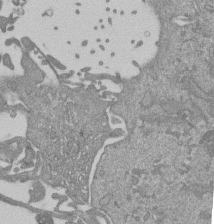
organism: Mouse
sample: ED-1 cell nuclei; centrioles